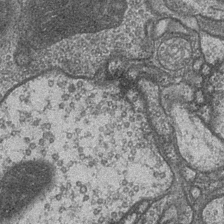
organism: Drosophila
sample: Optic medulla